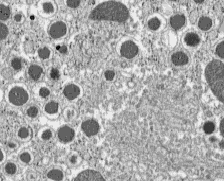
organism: C57BL Mouse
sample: Pancreatic islet